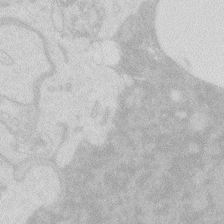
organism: Zebrafish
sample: Macrophage